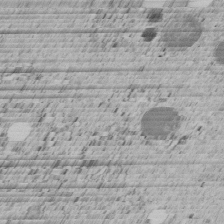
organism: C. elegans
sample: C. elegans embryo early stage